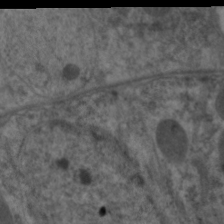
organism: C. elegans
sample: Pharynx